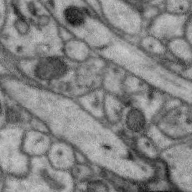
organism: Zebra finch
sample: Brain